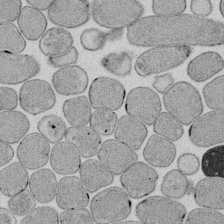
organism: E. coli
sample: Bacterial nucleoid